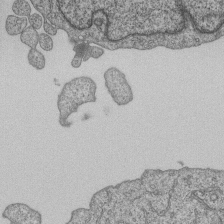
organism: Human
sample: MDA-MB-231 cells